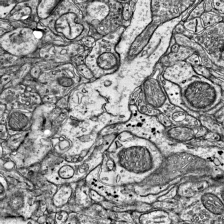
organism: Mouse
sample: Visual Cortex